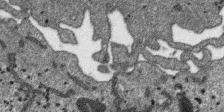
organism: Human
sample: Lung epithelial cells infected with SARS-CoV-2